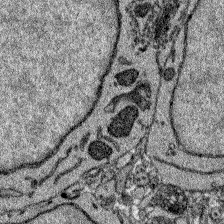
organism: Zebrafish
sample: Larval olfactory bulb